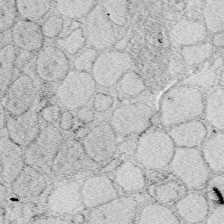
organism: Zebrafish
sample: Whole-Brain